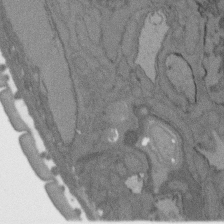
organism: C. elegans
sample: AFD neurons C. elegans